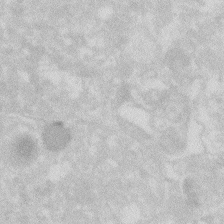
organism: Zebrafish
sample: Macrophage